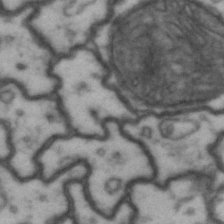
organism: Drosophila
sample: Brain